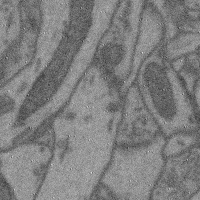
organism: Mouse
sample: Cerebral cortex